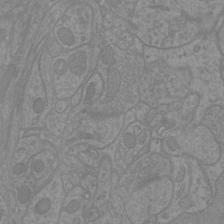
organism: Mouse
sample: Cortical neurons